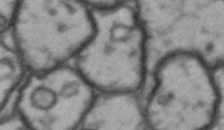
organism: Drosophila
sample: Brain